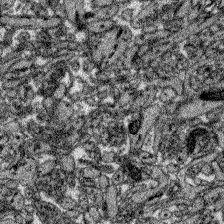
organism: Zebrafish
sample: Larval olfactory bulb